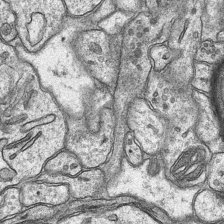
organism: Mouse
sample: CA1 Hippocampus